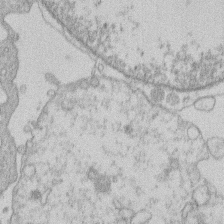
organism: Human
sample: Macrophage cells